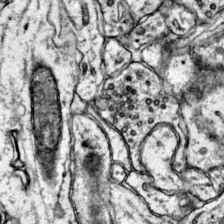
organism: Mouse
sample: Primary visual cortex